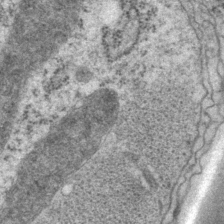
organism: P. pacificus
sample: Pharynx